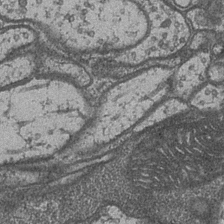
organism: Drosophila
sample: Optic medulla